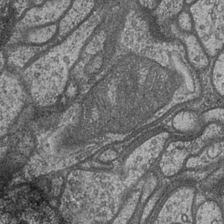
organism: Drosophila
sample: Optic medulla